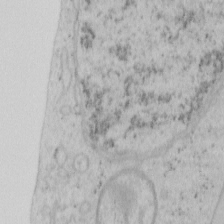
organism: Human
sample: HeLa cells